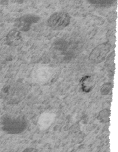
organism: C. elegans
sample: C. elegans embryo early stage